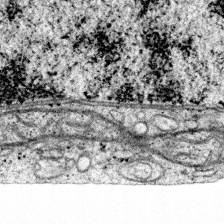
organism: Human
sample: HeLa cells